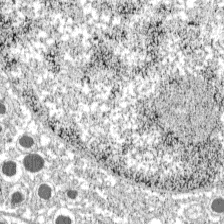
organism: C57BL Mouse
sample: Pancreatic islet